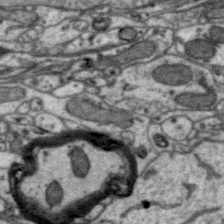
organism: Zebra finch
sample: Brain